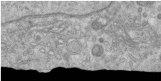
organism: Human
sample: Centriole in RPE cells